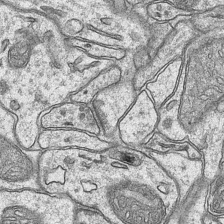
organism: Mouse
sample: CA1 Hippocampus